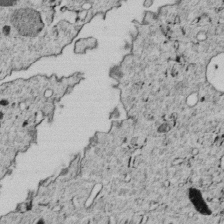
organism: C. elegans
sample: C. elegans embryo early stage